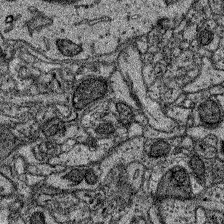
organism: Zebrafish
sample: Larval olfactory bulb